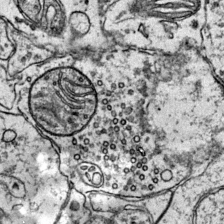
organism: Mouse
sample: Primary visual cortex